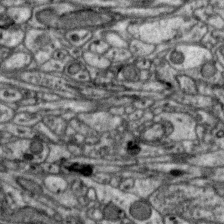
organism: Zebra finch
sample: Brain